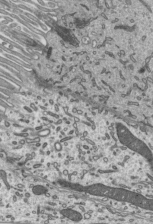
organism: Mouse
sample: Mouse epididymis efferent ductule cilia